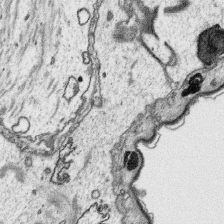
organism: Platynereis dumerilii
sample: Parapodia